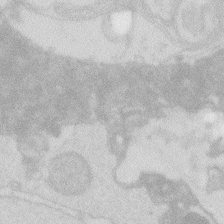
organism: Zebrafish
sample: Macrophage